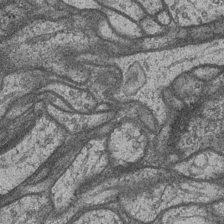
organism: Drosophila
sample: Optic medulla